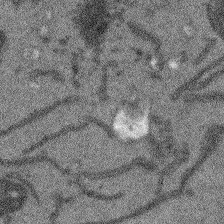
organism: Arabidopsis thaliana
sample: Root tip